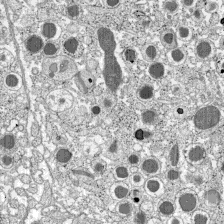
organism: C57BL Mouse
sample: Pancreatic islet